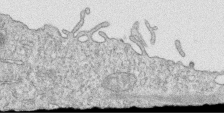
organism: Human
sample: HeLa cell HIV synapse